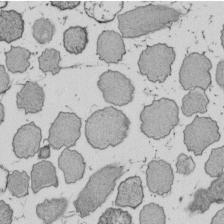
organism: E. coli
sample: Bacterial nucleoid